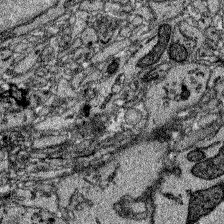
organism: Zebrafish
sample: Larval olfactory bulb